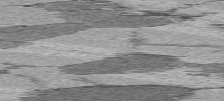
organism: C57BL Mouse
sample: Heart